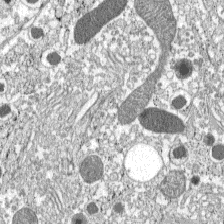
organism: C57BL Mouse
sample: Pancreatic islet